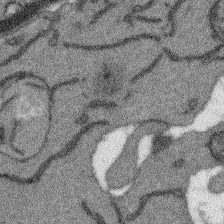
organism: Arabidopsis thaliana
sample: Root tip